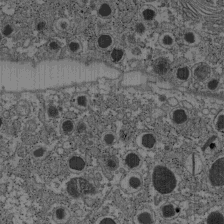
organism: C57BL Mouse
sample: Pancreatic islet